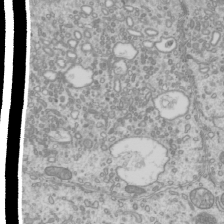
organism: Mouse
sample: Cilia; mouse epididymis